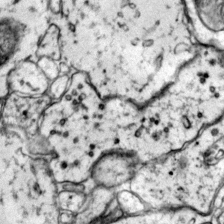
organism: Mouse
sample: Primary visual cortex